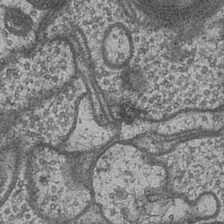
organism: Drosophila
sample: Optic medulla